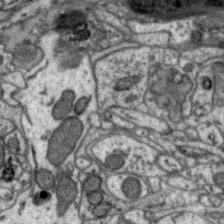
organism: Zebra finch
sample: Brain